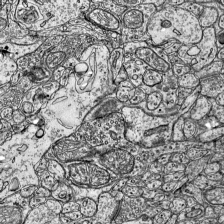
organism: Mouse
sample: Visual Cortex